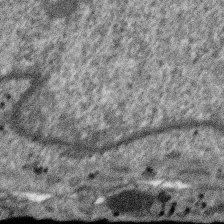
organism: Human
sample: Lung epithelial cells infected with SARS-CoV-2